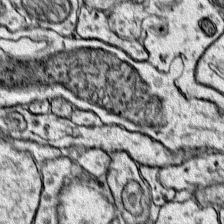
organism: Mouse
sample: Primary visual cortex